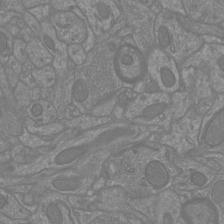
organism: Mouse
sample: Cortical neurons